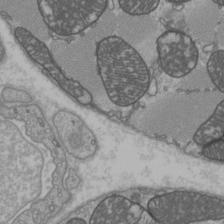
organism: C57BL Mouse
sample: Heart